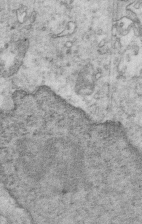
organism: Mouse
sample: Multiciliated cells